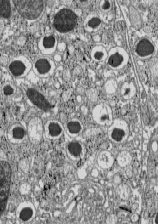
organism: C57BL Mouse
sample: Pancreatic islet